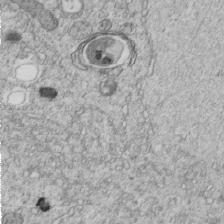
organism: C. elegans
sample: C. elegans embryo early stage